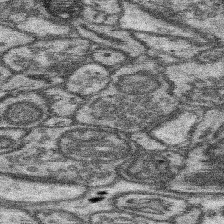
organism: Mouse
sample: Somatosensory cortex neuropil